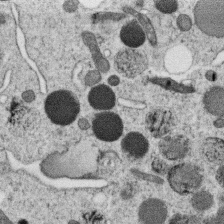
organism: C. elegans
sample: C. elegans oocyte; sperm cells